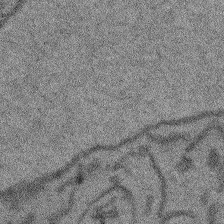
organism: Arabidopsis thaliana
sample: Root tip